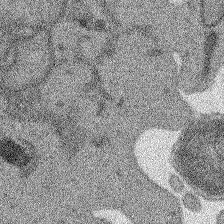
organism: Human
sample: HeLa cells